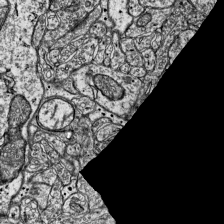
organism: Mouse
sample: Visual Cortex